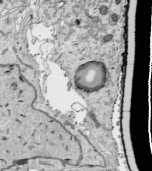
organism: Human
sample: Mitochondria in HCT116 cells